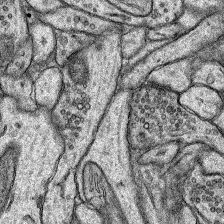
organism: Rat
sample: Hippocampus